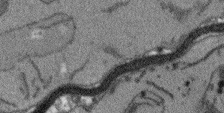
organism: Arabidopsis thaliana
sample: Root tip